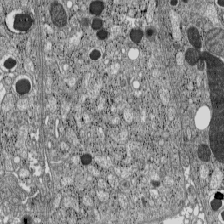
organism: C57BL Mouse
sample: Pancreatic islet